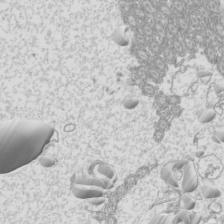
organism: Mouse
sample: Cilia; mouse epididymis